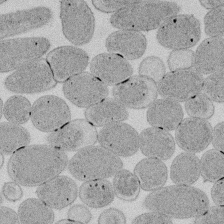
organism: E. coli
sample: Bacterial nucleoid